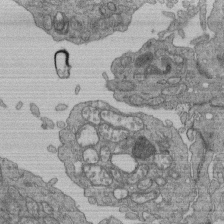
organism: Human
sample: Retinal organoid Rod and Cone cells